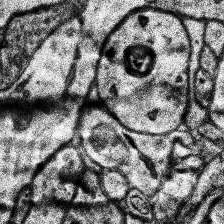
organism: Human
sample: Temporal Lobe